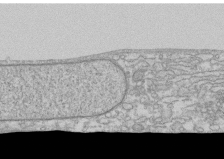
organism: Human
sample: CRL-1474